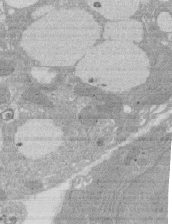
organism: Rat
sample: Salivary granule